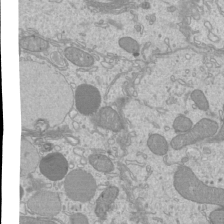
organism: Mouse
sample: Cilia; mouse epididymis